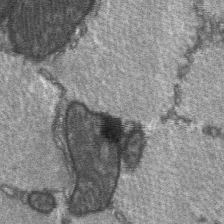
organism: C57BL Mouse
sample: Soleus